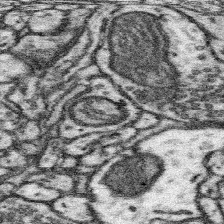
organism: Mouse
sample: Somatosensory cortex neuropil